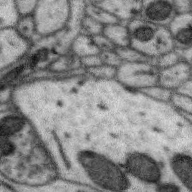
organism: Zebra finch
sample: Brain